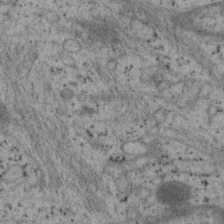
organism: Human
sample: HeLa cells